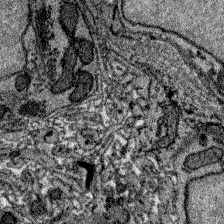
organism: Zebrafish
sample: Larval olfactory bulb